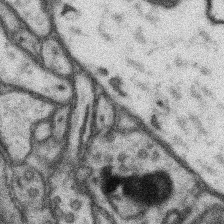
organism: Mouse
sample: Somatosensory cortex neuropil